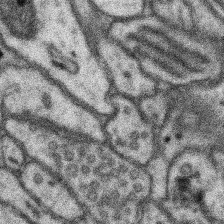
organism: Mouse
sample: Somatosensory cortex neuropil